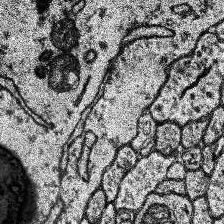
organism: Human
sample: Temporal Lobe